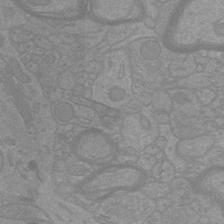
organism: Mouse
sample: Cortical neurons